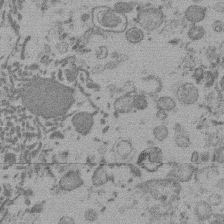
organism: Mouse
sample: Dividing mouse embryo 1 cell stage